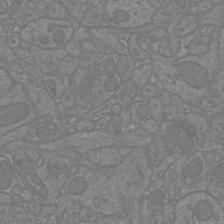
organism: Mouse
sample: Cortical neurons